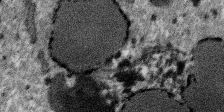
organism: Human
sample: Lung epithelial cells infected with SARS-CoV-2